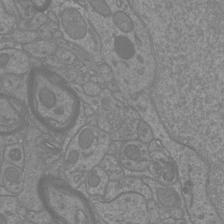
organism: Mouse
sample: Cortical neurons